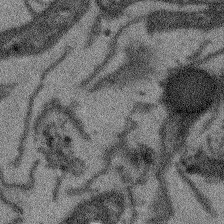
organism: Arabidopsis thaliana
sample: Root tip